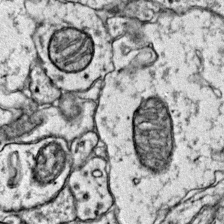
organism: Mouse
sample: Primary visual cortex